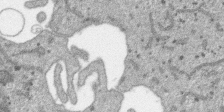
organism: Human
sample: Lung epithelial cells infected with SARS-CoV-2